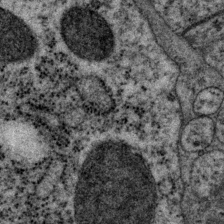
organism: P. pacificus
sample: Pharynx